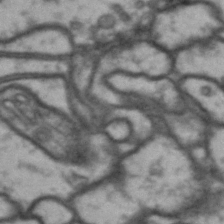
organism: Drosophila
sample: Brain